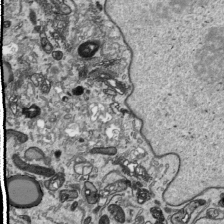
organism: Human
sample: Mitochondria in HCT116 cells